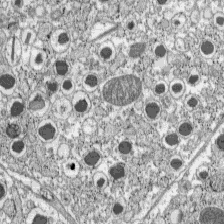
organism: C57BL Mouse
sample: Pancreatic islet